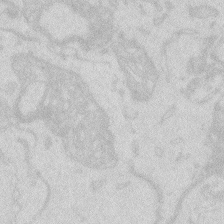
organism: Zebrafish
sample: Macrophage